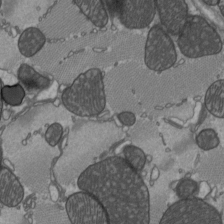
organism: C57BL Mouse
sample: Heart